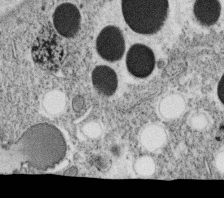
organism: C. elegans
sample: C. elegans oocyte; sperm cells